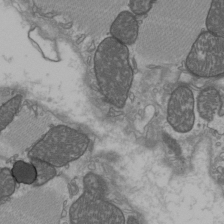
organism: C57BL Mouse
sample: Heart